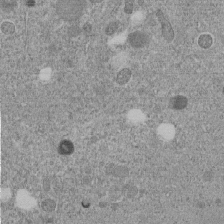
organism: C. elegans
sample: C. elegans embryo early stage